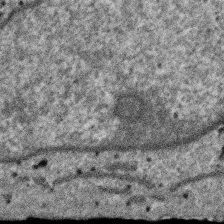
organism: Human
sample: Lung epithelial cells infected with SARS-CoV-2